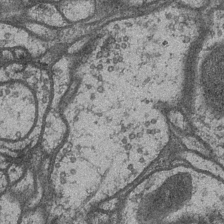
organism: Drosophila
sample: Optic medulla